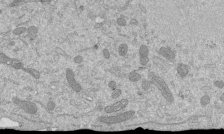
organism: Mouse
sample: ED-1 cell nuclei; centrioles